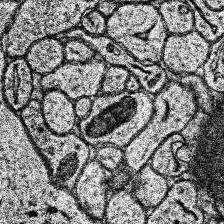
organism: Human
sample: Temporal Lobe